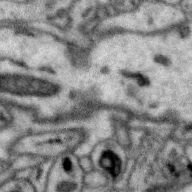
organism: Zebra finch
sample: Brain